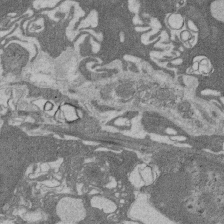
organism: Rat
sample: Salivary granule